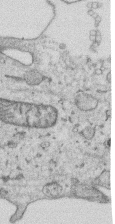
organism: Human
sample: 1205lu cells